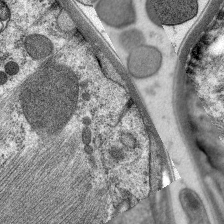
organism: C. elegans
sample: Pharynx